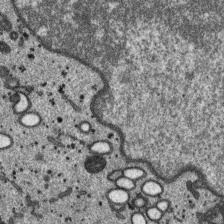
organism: Human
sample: Lung epithelial cells infected with SARS-CoV-2